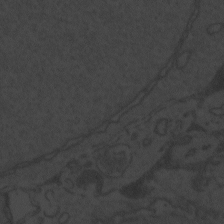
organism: Zebrafish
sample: Macrophage infected with Toxoplasma gondii